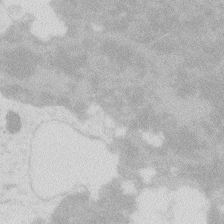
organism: Zebrafish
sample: Macrophage